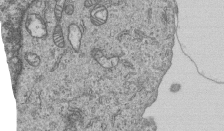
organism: Human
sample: MDA-MB-231 cells